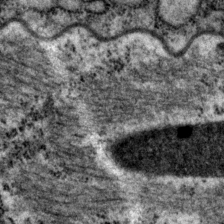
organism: P. pacificus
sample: Pharynx